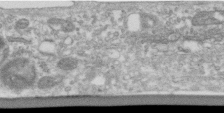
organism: Human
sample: Centriole in RPE cells